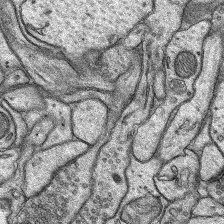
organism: Rat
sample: Hippocampus